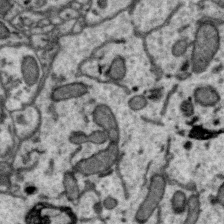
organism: Zebra finch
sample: Brain